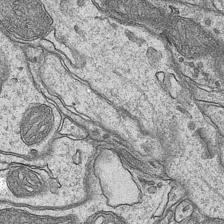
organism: Mouse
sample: CA1 Hippocampus